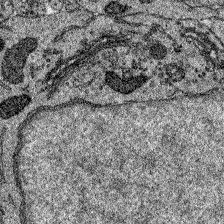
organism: Zebrafish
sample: Larval olfactory bulb